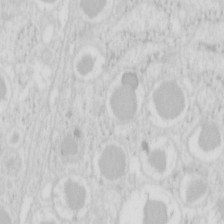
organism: Mouse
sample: Pancreas